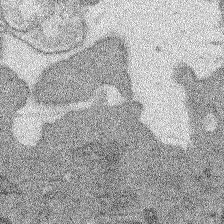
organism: Human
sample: HeLa cells